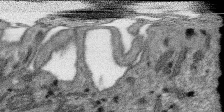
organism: Human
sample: Lung epithelial cells infected with SARS-CoV-2